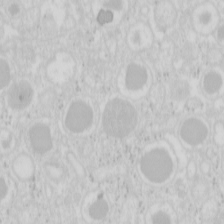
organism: Mouse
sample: Pancreas